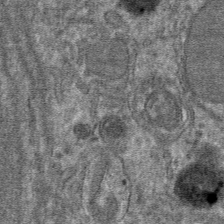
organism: Mouse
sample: Mouse hepatocytes